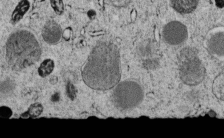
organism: C. elegans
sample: C. elegans embryo early stage